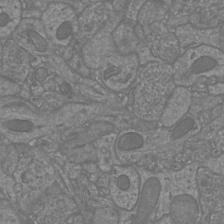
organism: Mouse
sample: Cortical neurons